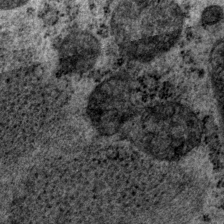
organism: P. pacificus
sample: Pharynx